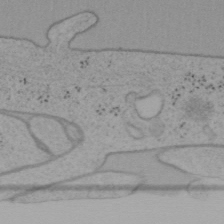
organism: Human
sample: HeLa cells